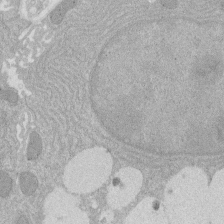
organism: Rat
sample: Salivary granule